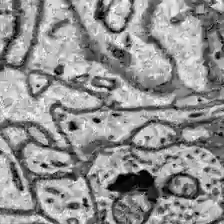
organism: Zebrafish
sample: Brain